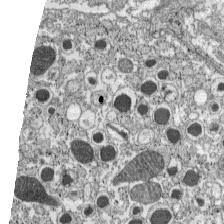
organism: C57BL Mouse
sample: Pancreatic islet